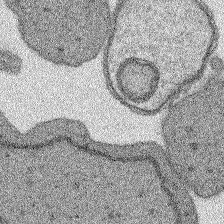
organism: Human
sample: HeLa cells